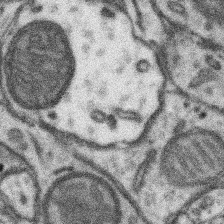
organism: Mouse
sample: Somatosensory cortex neuropil